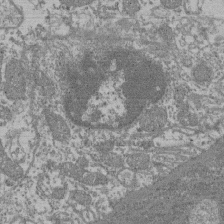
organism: Mouse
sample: Glomerulus